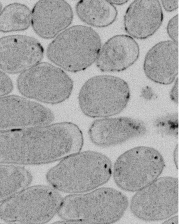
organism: E. coli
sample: Bacterial nucleoid